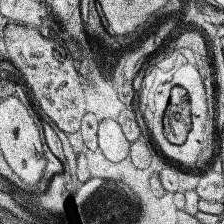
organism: Human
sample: Temporal Lobe